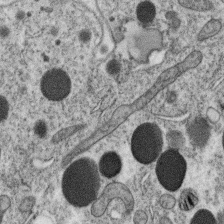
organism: C. elegans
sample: C. elegans oocyte; sperm cells